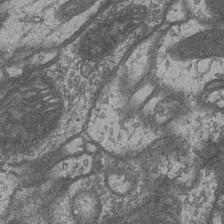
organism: Drosophila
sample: Optic medulla